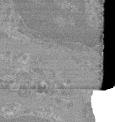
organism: Mouse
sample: Glomerulus